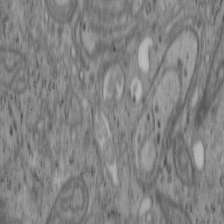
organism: Human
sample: HeLa cells